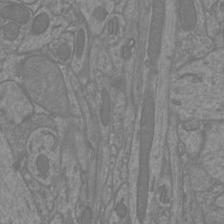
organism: Mouse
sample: Cortical neurons